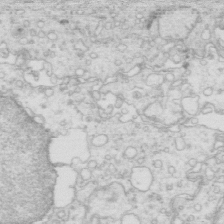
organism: Mouse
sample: Multiciliated cells